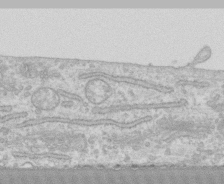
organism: Human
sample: CRL-1474